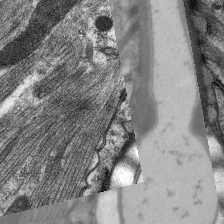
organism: C. elegans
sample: Pharynx